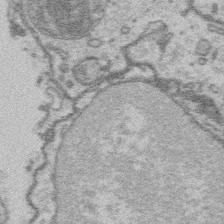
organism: Platynereis dumerilii